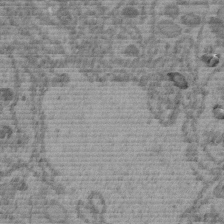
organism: C. elegans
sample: C. elegans embryo early stage